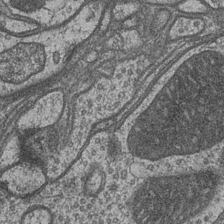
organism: Drosophila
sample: Optic medulla